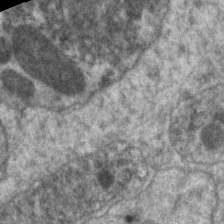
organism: C. elegans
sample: Pharynx